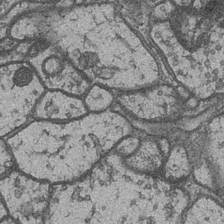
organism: Drosophila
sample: Optic medulla